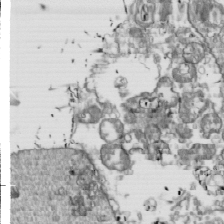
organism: Drosophila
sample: Cell division; meiosis; drosophila spermatocytes